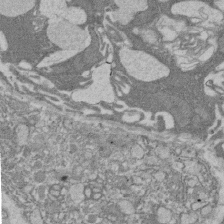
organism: Rat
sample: Salivary granule